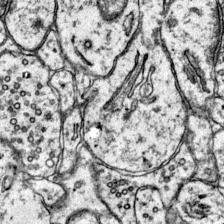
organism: Mouse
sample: Primary visual cortex